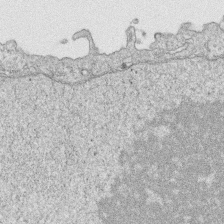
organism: Human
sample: HeLa cell HIV synapse